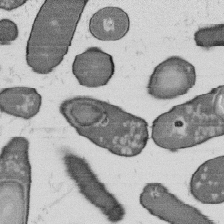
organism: B. subtilis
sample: Bacterial spore